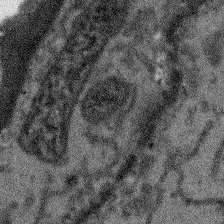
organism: Arabidopsis thaliana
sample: Root tip